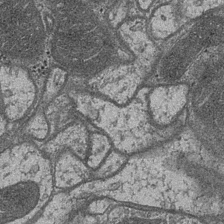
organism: Drosophila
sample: Optic medulla